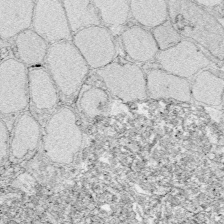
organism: Zebrafish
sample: Whole-Brain